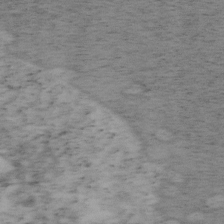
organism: Mouse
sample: OT-I killer T cells with ID8 ovarian cancer cells